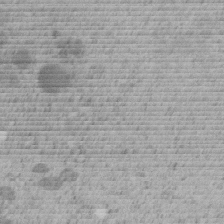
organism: C. elegans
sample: C. elegans embryo early stage